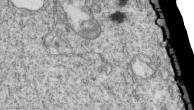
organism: Human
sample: HeLa cell HIV synapse